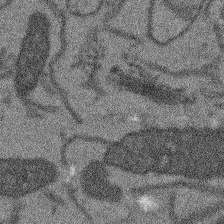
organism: Arabidopsis thaliana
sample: Root tip